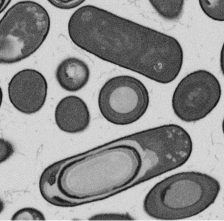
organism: B. subtilis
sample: Bacterial spore